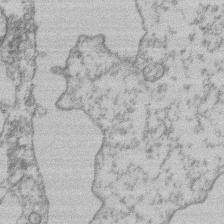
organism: Mouse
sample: T cell stromal cell synapse